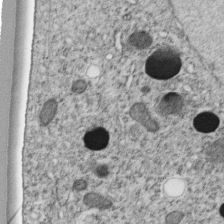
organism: C. elegans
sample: C. elegans embryo early stage